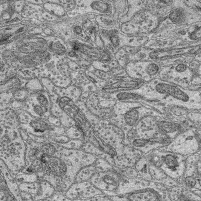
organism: Mouse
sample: Retina